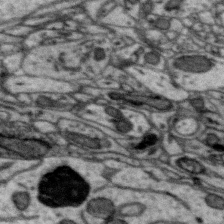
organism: Zebra finch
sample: Brain